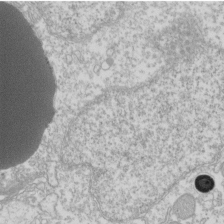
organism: Xenopus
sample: Cilia; centrioles in frog embryo cells